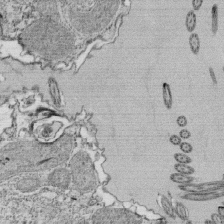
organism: Tetrahymena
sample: Cilia in tetrahymena